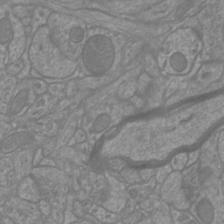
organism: Mouse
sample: Cortical neurons